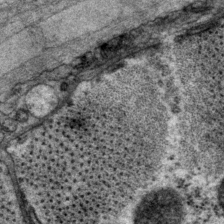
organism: P. pacificus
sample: Pharynx